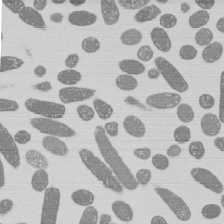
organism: E. coli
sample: Bacterial nucleoid